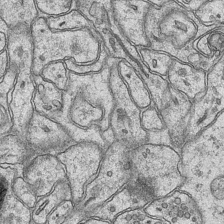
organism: Mouse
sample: CA1 Hippocampus